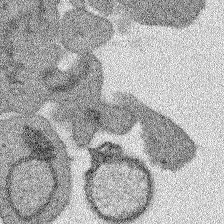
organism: Human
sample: HeLa cells